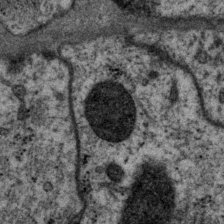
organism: P. pacificus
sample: Pharynx